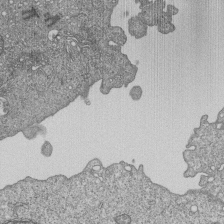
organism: Human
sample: MDA-MB-231 cells